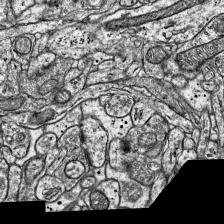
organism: Mouse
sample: Visual Cortex